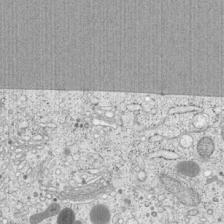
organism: African green monkey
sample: COS-7 cells